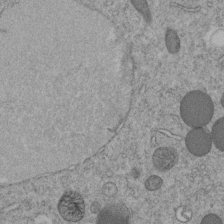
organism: C. elegans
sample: C. elegans embryo early stage